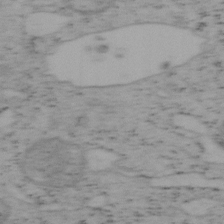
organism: Mouse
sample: OT-I killer T cells with ID8 ovarian cancer cells